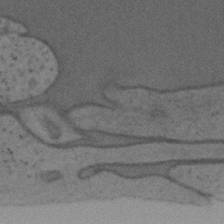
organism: Human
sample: HeLa cells